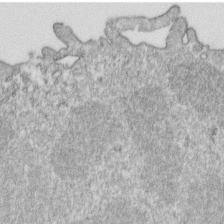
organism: Mouse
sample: Activated OT-1 CD8+ T cells